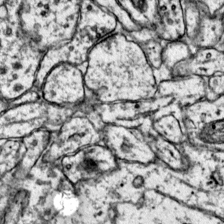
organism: Mouse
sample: Primary visual cortex